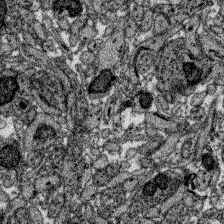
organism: Zebrafish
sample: Larval olfactory bulb